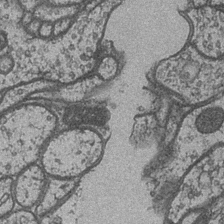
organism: Drosophila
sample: Optic medulla